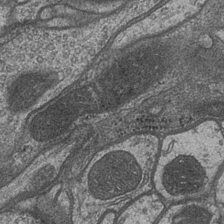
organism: Drosophila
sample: Optic medulla